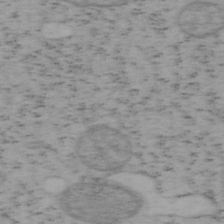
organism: Mouse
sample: OT-I killer T cells with ID8 ovarian cancer cells